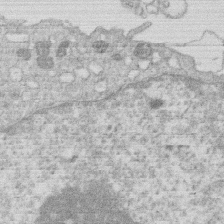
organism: Human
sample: Macrophage cells